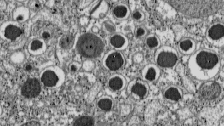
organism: C57BL Mouse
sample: Pancreatic islet